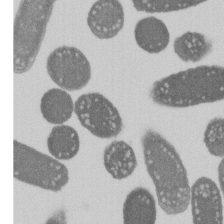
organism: E. coli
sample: Bacterial nucleoid